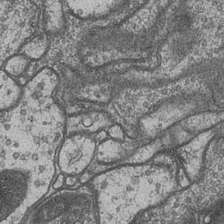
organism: Drosophila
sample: Optic medulla